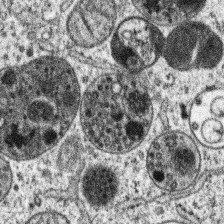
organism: Human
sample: HeLa cells